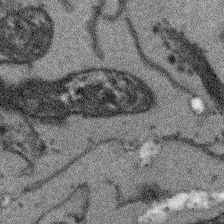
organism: Arabidopsis thaliana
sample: Root tip